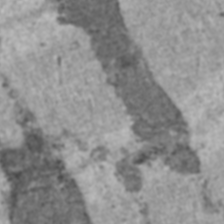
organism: C57BL Mouse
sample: Heart